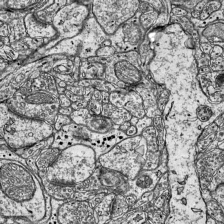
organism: Mouse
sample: Visual Cortex